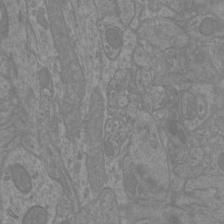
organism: Mouse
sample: Cortical neurons